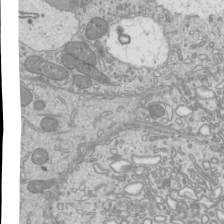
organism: Mouse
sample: Cilia; mouse epididymis